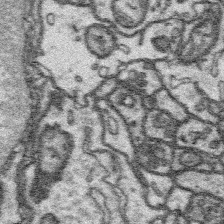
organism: Platynereis dumerilii